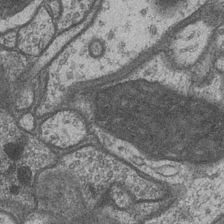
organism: Drosophila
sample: Optic medulla